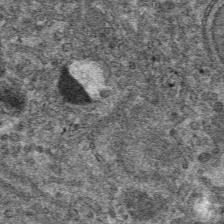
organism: Mouse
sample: Mouse hepatocytes